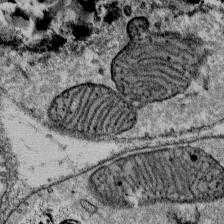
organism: Mouse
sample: Mouse Salivary gland